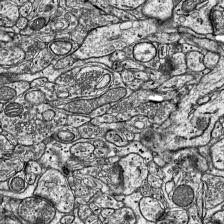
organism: Mouse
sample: Visual Cortex